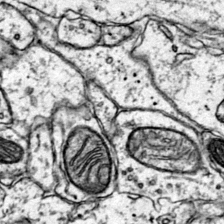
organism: Mouse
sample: Primary visual cortex